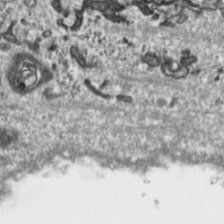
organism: Toxoplasma gondii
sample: Parasites in a vacuole inside a host cell